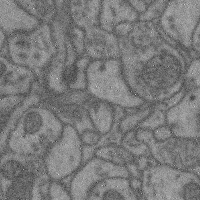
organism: Mouse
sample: Cerebral cortex